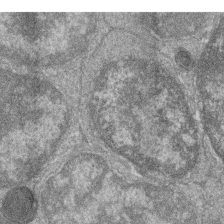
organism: Zebrafish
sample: Cilia; retinal pigment epithelium